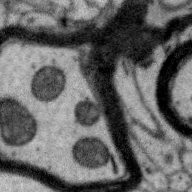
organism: Zebra finch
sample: Brain